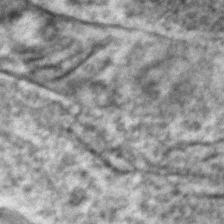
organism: Zebrafish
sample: Zebrafish embryo